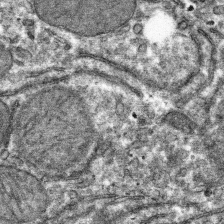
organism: Mouse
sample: Mouse hepatocytes